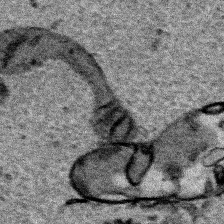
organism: Human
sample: Mitochondria in HCT116 cells